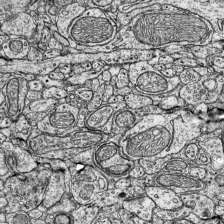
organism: Mouse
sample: Visual Cortex